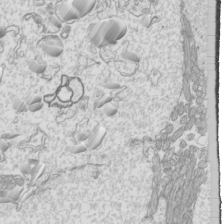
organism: Mouse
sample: Cilia; mouse epididymis